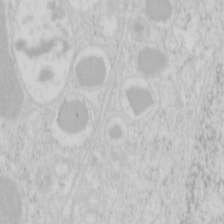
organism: Mouse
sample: Pancreas